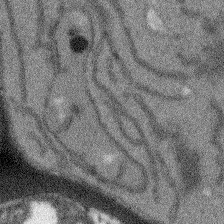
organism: Arabidopsis thaliana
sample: Root tip